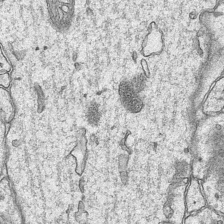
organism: Mouse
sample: CA1 Hippocampus